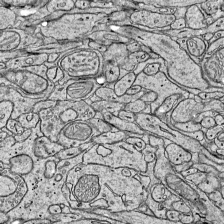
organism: Mouse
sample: Visual Cortex